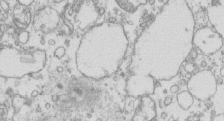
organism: Mouse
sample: Macrophages